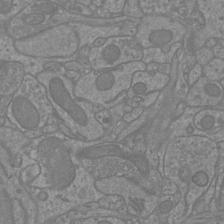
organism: Mouse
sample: Cortical neurons